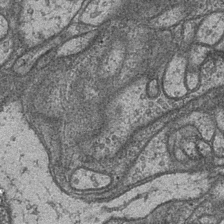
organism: Drosophila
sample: Optic medulla